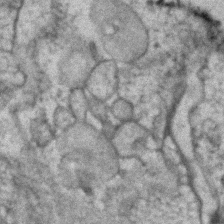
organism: Human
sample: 1205lu cells